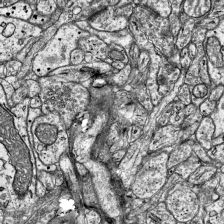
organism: Mouse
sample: Visual Cortex